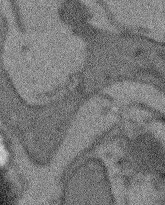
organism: Arabidopsis thaliana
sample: Root tip